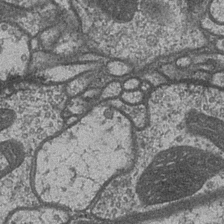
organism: Drosophila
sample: Optic medulla